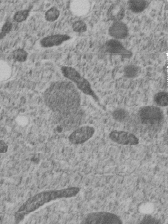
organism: C. elegans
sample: C. elegans embryo early stage